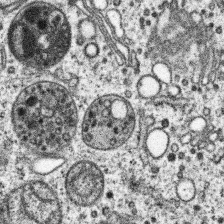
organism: Human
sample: HeLa cells